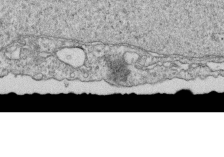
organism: Human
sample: HeLa cell HIV synapse